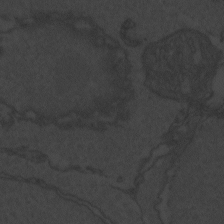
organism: Zebrafish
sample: Macrophage infected with Toxoplasma gondii